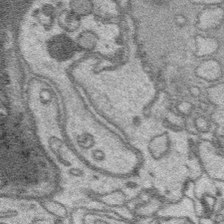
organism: Platynereis dumerilii